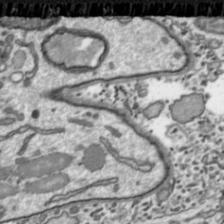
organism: Toxoplasma gondii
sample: Parasites in a vacuole inside a host cell